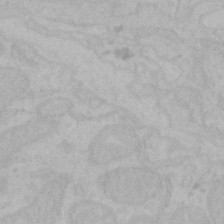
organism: Mouse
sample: Choroid plexus